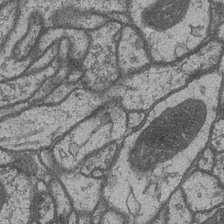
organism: Drosophila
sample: Optic medulla